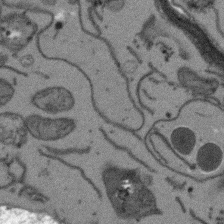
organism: Arabidopsis thaliana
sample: Root tip